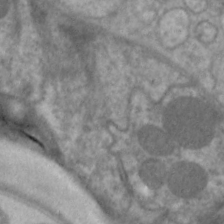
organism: C. elegans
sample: Pharynx